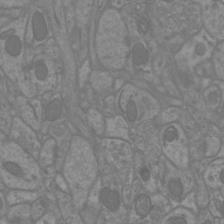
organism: Mouse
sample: Cortical neurons